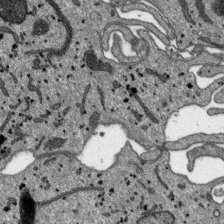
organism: Human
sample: Lung epithelial cells, uninfected (mock) control